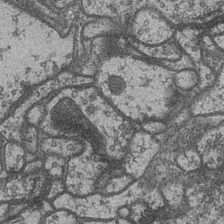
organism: Drosophila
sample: Optic medulla